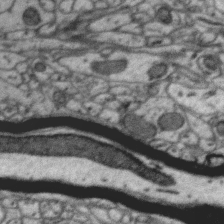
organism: Zebra finch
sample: Brain